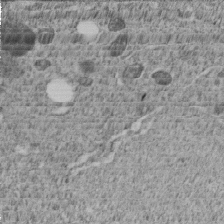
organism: C. elegans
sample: C. elegans embryo early stage